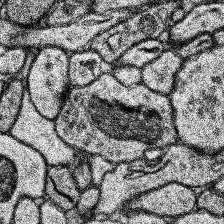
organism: Human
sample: Temporal Lobe